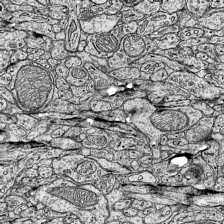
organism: Mouse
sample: Visual Cortex